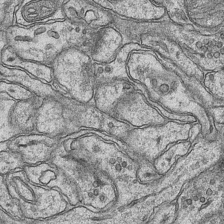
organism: Mouse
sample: CA1 Hippocampus